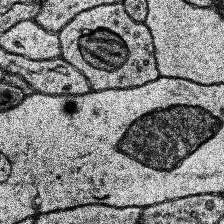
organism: Human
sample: Temporal Lobe